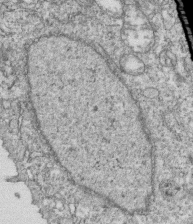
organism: Human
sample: HeLa cell HIV synapse